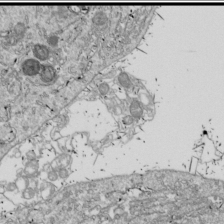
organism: Drosophila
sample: Cell division; meiosis; drosophila spermatocytes